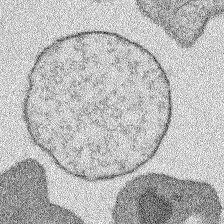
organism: Human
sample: HeLa cells